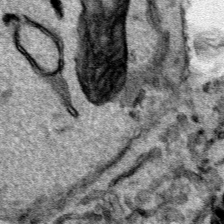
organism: Human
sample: Mitochondria in HCT116 cells